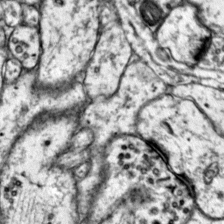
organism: Mouse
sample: Primary visual cortex